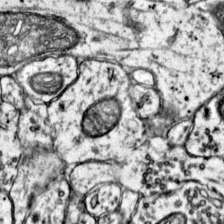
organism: Mouse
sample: Primary visual cortex